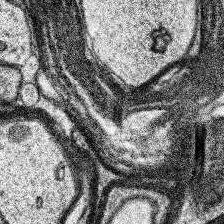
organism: Human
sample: Temporal Lobe